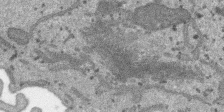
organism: Human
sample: Lung epithelial cells infected with SARS-CoV-2